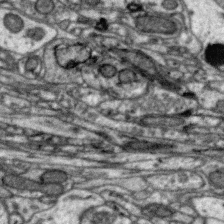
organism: Zebra finch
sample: Brain